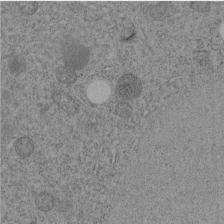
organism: C. elegans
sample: C. elegans embryo early stage